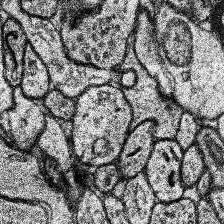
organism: Human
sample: Temporal Lobe